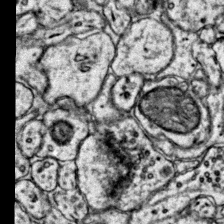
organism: Mouse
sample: Primary visual cortex